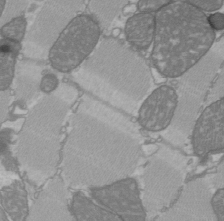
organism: C57BL Mouse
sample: Heart